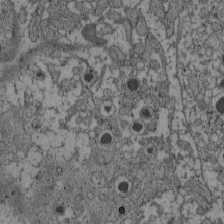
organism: C57BL Mouse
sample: Pancreatic islet